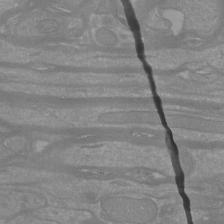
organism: Mouse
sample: Cortical neurons